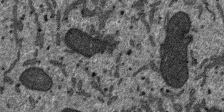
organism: Human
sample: Lung epithelial cells infected with SARS-CoV-2